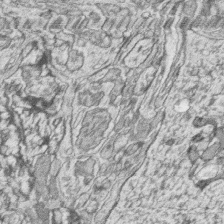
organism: Zebrafish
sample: synaptic ribbons in rod cells and cone cells